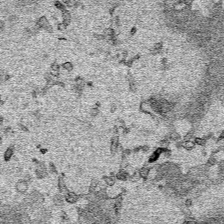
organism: Human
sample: Mitochondria in HCT116 cells